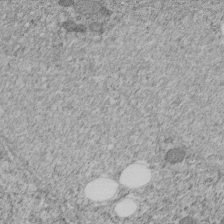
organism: C. elegans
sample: C. elegans embryo early stage